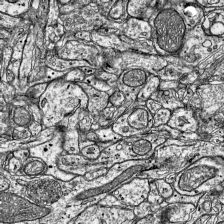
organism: Mouse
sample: Visual Cortex